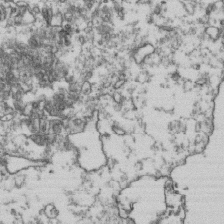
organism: Human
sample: Activated Jurkat CD4+ T cells